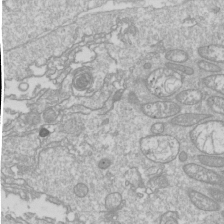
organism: Drosophila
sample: Cell division; meiosis; drosophila spermatocytes